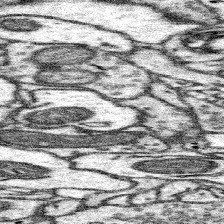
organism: Mouse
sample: Somatosensory cortex neuropil